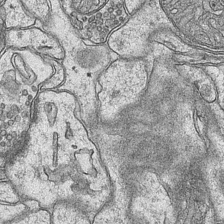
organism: Mouse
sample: CA1 Hippocampus